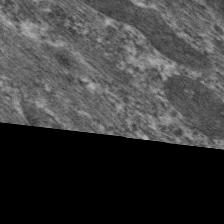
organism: C. elegans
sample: Pharynx